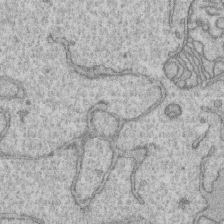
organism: Human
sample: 1205lu cells